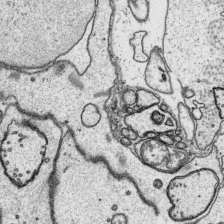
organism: Platynereis dumerilii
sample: Parapodia